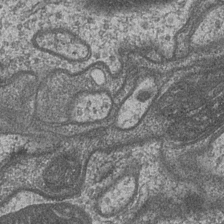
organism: Drosophila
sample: Optic medulla